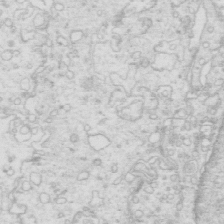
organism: Mouse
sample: Multiciliated cells